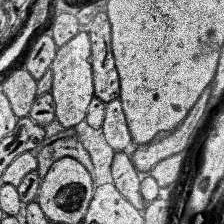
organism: Human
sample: Temporal Lobe